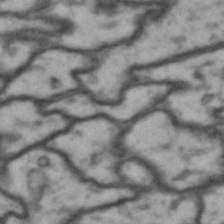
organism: Drosophila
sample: Brain